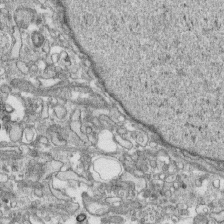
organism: Human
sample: CRL-1474